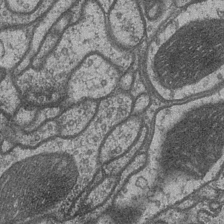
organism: Drosophila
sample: Optic medulla